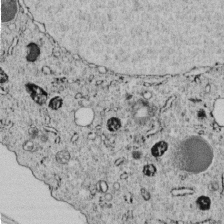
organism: C. elegans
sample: C. elegans embryo early stage